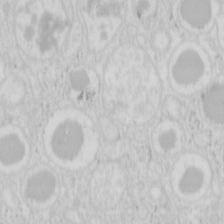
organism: Mouse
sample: Pancreas